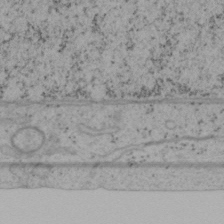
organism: Human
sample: HeLa cells